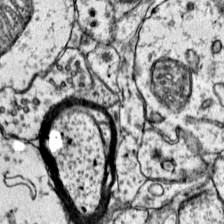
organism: Mouse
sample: Primary visual cortex